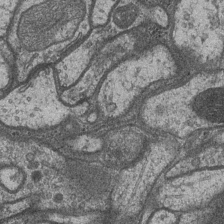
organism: Drosophila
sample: Optic medulla